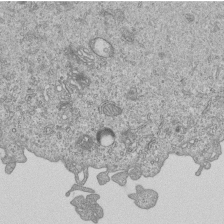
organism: Human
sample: MDA-MB-231 cells